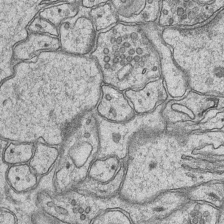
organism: Mouse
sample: CA1 Hippocampus